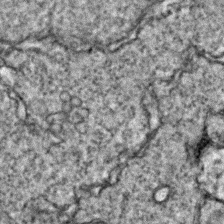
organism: Zebrafish